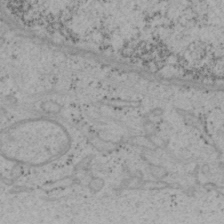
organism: Human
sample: HeLa cells